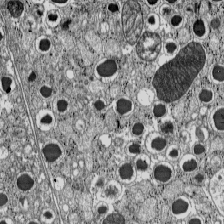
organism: C57BL Mouse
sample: Pancreatic islet